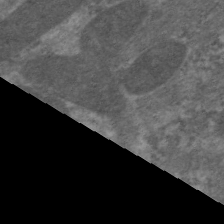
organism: C. elegans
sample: Pharynx